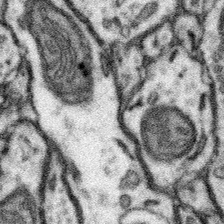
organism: Mouse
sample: Somatosensory cortex neuropil